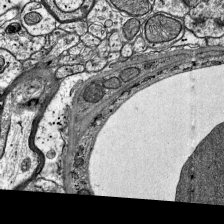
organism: Mouse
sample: Visual Cortex